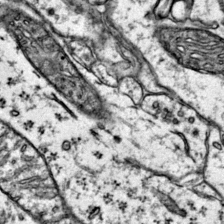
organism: Mouse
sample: Primary visual cortex